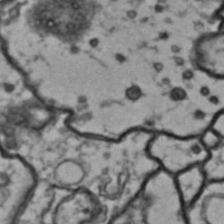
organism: Drosophila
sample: Brain